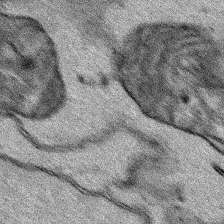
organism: Human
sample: Mitochondria in HCT116 cells